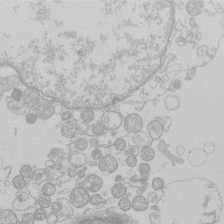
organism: Human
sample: Macrophage cells